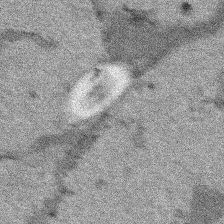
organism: Human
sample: Mitochondria in HCT116 cells